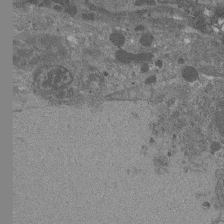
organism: Drosophila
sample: Antenna